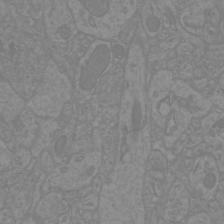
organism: Mouse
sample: Cortical neurons